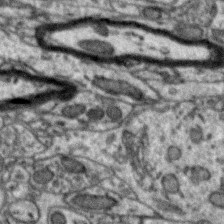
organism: Zebra finch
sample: Brain